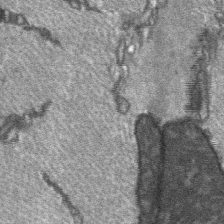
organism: C57BL Mouse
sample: Soleus